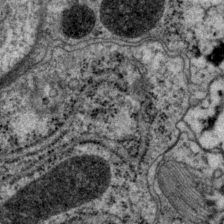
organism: P. pacificus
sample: Pharynx